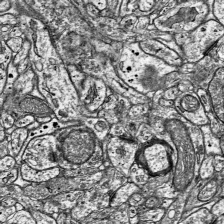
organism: Mouse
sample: Visual Cortex